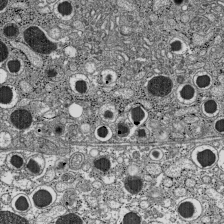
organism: C57BL Mouse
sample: Pancreatic islet